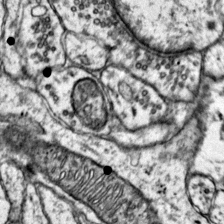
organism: Mouse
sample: Primary visual cortex